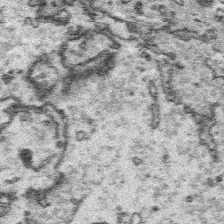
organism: Platynereis dumerilii